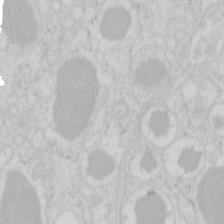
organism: Mouse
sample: Pancreas